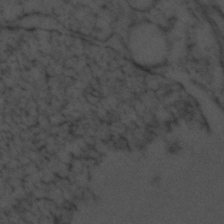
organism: Zebrafish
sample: Zebrafish embryo